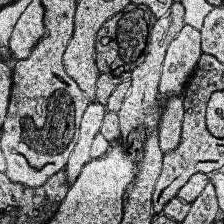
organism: Human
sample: Temporal Lobe